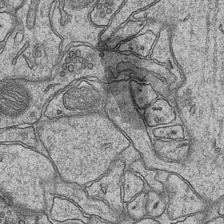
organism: Mouse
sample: CA1 Hippocampus